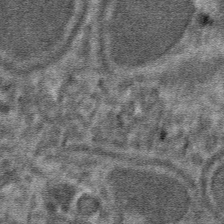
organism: Mouse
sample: Mouse hepatocytes